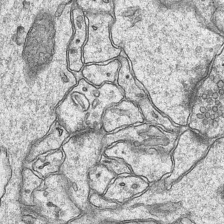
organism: Mouse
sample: CA1 Hippocampus